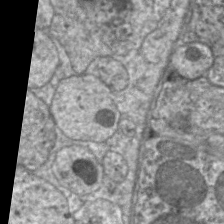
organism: C. elegans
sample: Pharynx